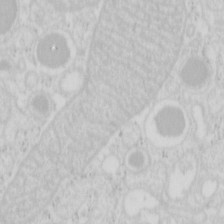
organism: Mouse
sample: Pancreas